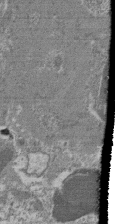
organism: Mouse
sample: Glomerulus